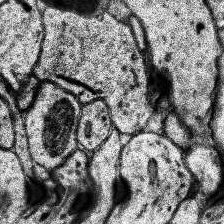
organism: Human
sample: Temporal Lobe